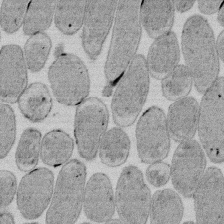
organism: E. coli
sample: Bacterial nucleoid